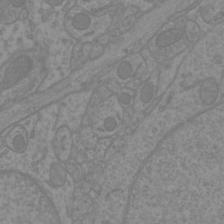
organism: Mouse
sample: Cortical neurons